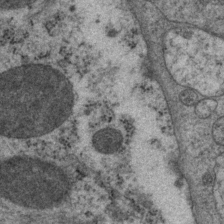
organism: P. pacificus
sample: Pharynx